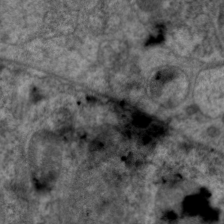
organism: C. elegans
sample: Pharynx